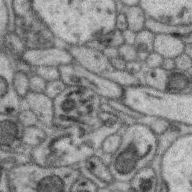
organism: Zebra finch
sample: Brain